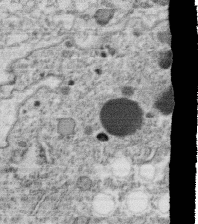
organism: C. elegans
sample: C. elegans oocyte; sperm cells